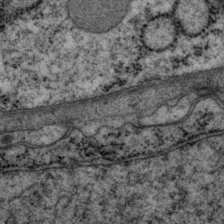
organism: P. pacificus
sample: Pharynx